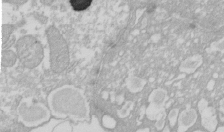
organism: Xenopus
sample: Cilia; centrioles in frog embryo cells